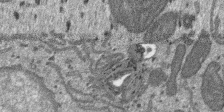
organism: Human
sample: Lung epithelial cells infected with SARS-CoV-2